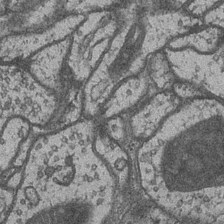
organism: Drosophila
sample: Optic medulla